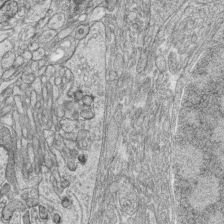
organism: Zebrafish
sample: synaptic ribbons in rod cells and cone cells